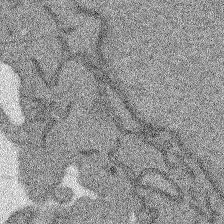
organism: Human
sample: HeLa cells